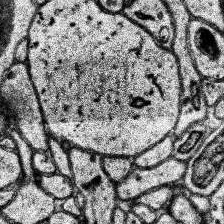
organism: Human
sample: Temporal Lobe